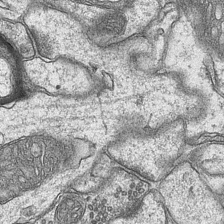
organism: Mouse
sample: CA1 Hippocampus